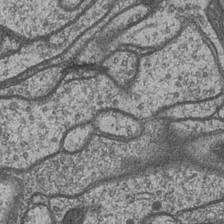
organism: Drosophila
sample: Optic medulla